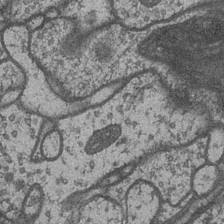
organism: Drosophila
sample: Optic medulla